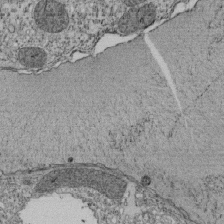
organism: Tetrahymena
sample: Cilia in tetrahymena